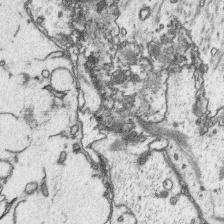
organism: Platynereis dumerilii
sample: Parapodia